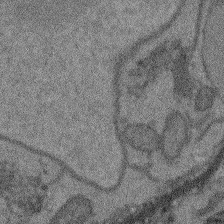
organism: Arabidopsis thaliana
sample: Root tip